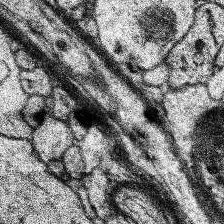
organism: Human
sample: Temporal Lobe